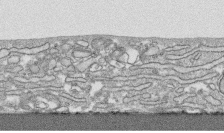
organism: Human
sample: CRL-1474